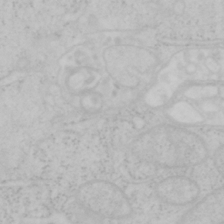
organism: Mouse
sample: OT-I killer T cells with ID8 ovarian cancer cells